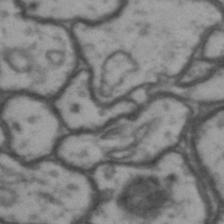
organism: Drosophila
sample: Brain